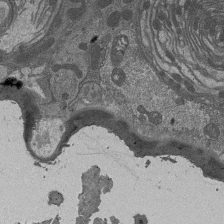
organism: Drosophila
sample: Antenna